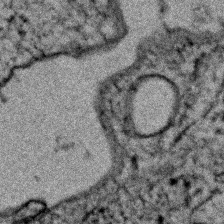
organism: Zebrafish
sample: Zebrafish embryo